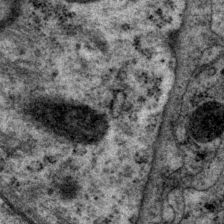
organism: P. pacificus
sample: Pharynx